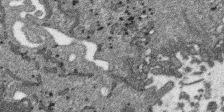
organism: Human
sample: Lung epithelial cells infected with SARS-CoV-2